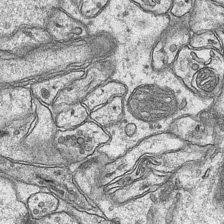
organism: Mouse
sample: CA1 Hippocampus